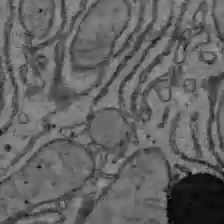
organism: C57BL Mouse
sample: Liver